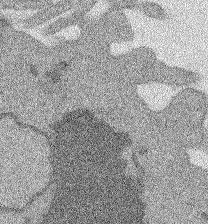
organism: Human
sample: HeLa cells